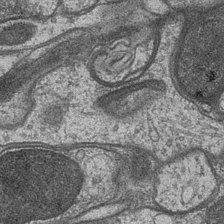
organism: Drosophila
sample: Optic medulla